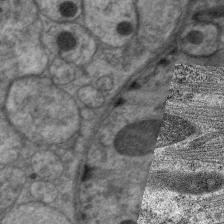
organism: C. elegans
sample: Pharynx